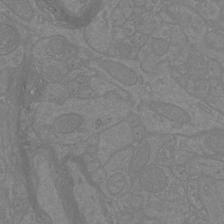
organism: Mouse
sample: Cortical neurons